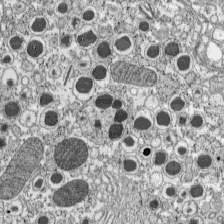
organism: C57BL Mouse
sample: Pancreatic islet